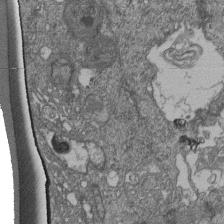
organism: Human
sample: Retinal organoid Rod and Cone cells